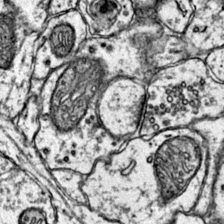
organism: Mouse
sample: Primary visual cortex